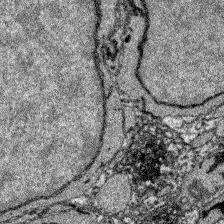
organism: Zebrafish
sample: Larval olfactory bulb